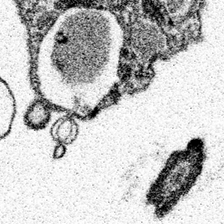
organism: Spongilla lacustris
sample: Neuroid cell